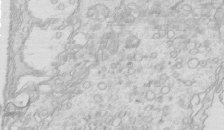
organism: Mouse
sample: Multiciliated cells